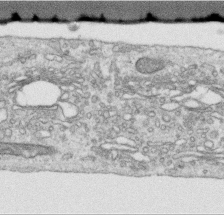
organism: Human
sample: Centriole in RPE cells